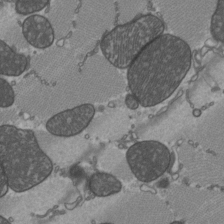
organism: C57BL Mouse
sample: Heart